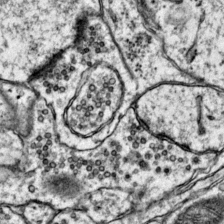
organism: Mouse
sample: Primary visual cortex